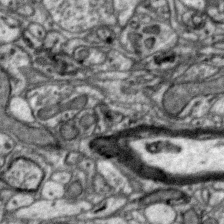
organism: Zebra finch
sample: Brain